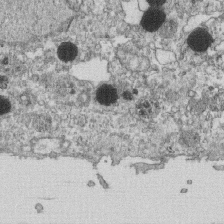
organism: Human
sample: HeLa cell HIV synapse